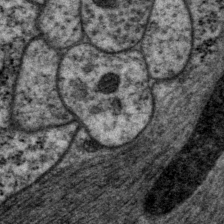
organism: P. pacificus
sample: Pharynx